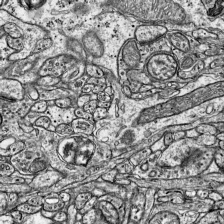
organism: Mouse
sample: Visual Cortex